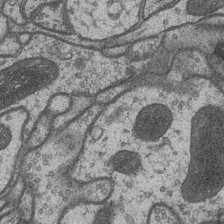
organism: Drosophila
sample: Optic medulla